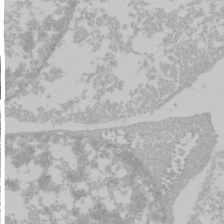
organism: Mouse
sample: Cancer cell death in ED-1 cells